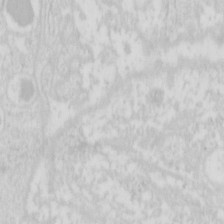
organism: Mouse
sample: Pancreas